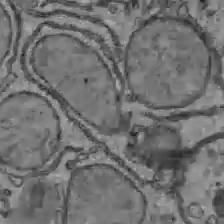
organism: C57BL Mouse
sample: Liver